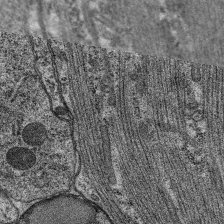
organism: C. elegans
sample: Pharynx